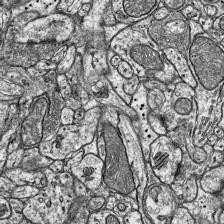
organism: Mouse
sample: Visual Cortex